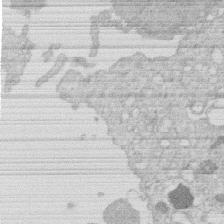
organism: Human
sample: Macrophage cells